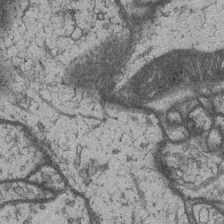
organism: Drosophila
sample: Optic medulla